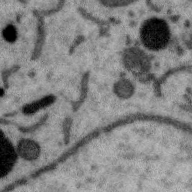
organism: Zebra finch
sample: Brain